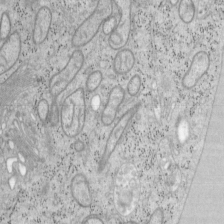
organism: Mouse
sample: OT-I killer T cells with ID8 ovarian cancer cells